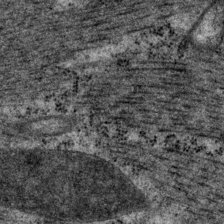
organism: P. pacificus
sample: Pharynx